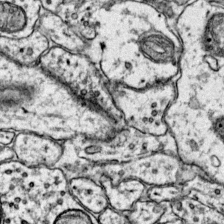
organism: Mouse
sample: Primary visual cortex